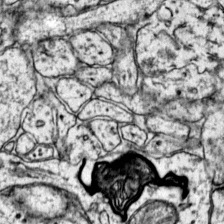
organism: Mouse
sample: Primary visual cortex